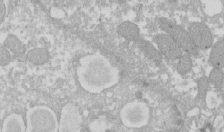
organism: Xenopus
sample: Cilia; centrioles in frog embryo cells